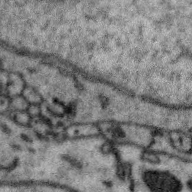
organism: Zebra finch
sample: Brain